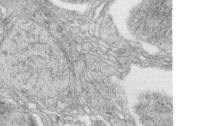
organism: Zebrafish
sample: synaptic ribbons in rod cells and cone cells